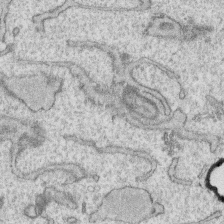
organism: Human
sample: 1205lu cells